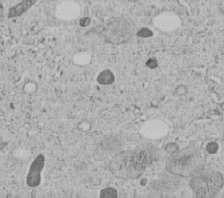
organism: C. elegans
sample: C. elegans embryo early stage